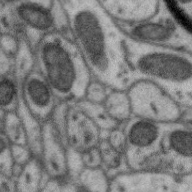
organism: Zebra finch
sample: Brain